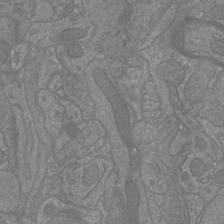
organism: Mouse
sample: Cortical neurons